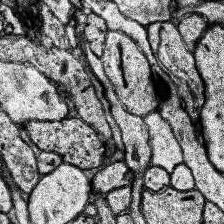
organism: Human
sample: Temporal Lobe